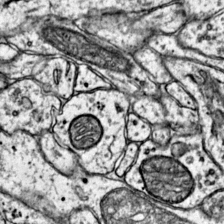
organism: Mouse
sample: Primary visual cortex